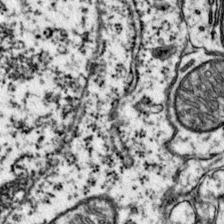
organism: Mouse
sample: Primary visual cortex